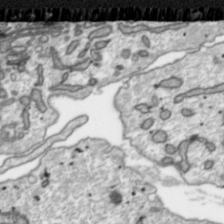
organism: Toxoplasma gondii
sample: Parasites in a vacuole inside a host cell